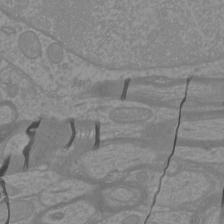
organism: Mouse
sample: Cortical neurons